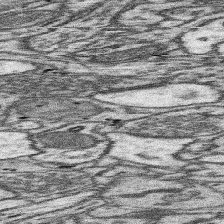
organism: Mouse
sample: Somatosensory cortex neuropil